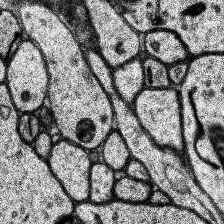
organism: Human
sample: Temporal Lobe